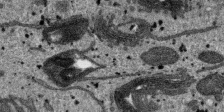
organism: Human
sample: Lung epithelial cells, uninfected (mock) control